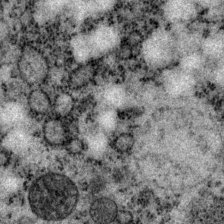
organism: P. pacificus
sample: Pharynx